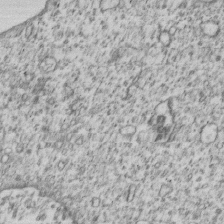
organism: Human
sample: MDA-MB-231 cells